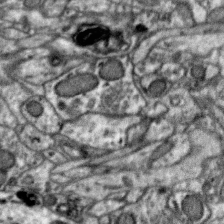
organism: Zebra finch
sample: Brain